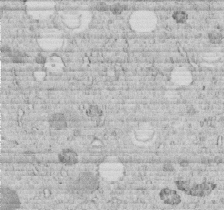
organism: C. elegans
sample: C. elegans embryo early stage